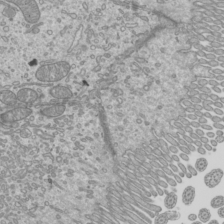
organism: Mouse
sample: Cilia; mouse epididymis